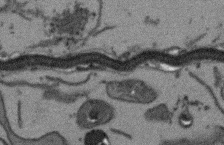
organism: Arabidopsis thaliana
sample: Root tip